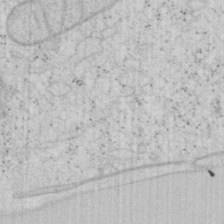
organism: Human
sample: HeLa cells